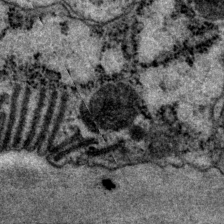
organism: P. pacificus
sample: Pharynx